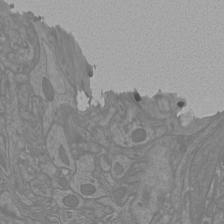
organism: Mouse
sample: Cortical neurons